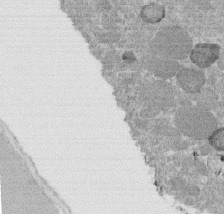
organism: C. elegans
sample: C. elegans embryo early stage